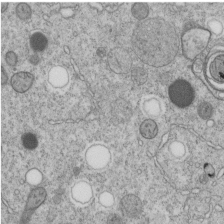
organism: C. elegans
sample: C. elegans embryo early stage